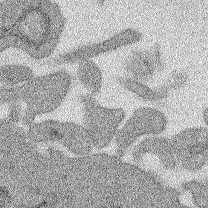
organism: Human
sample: HeLa cells